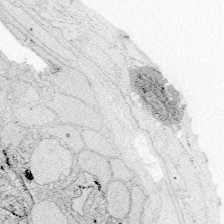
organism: Zebrafish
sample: Whole-Brain